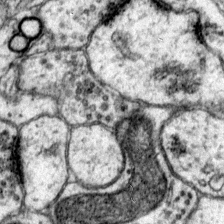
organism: Mouse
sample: Primary visual cortex